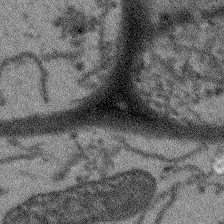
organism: Arabidopsis thaliana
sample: Root tip